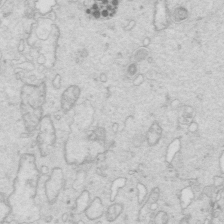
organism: Mouse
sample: Multiciliated cells